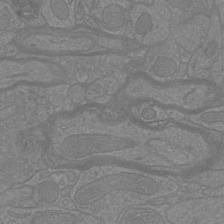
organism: Mouse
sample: Cortical neurons